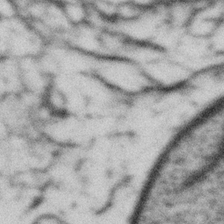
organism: Gemmata obscuriglobus